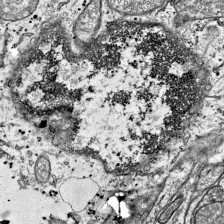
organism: Mouse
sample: Visual Cortex